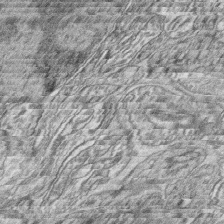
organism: Zebrafish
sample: synaptic ribbons in rod cells and cone cells